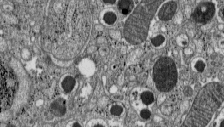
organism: C57BL Mouse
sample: Pancreatic islet